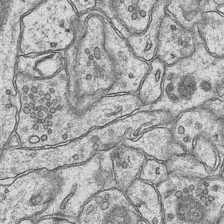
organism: Mouse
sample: CA1 Hippocampus